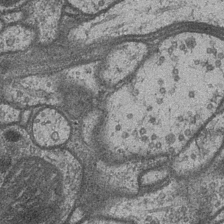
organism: Drosophila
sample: Optic medulla